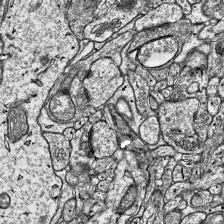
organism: Mouse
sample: Visual Cortex